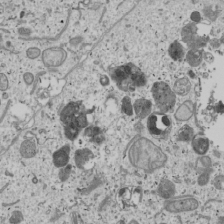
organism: Human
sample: Mitochondria in U2OS cells